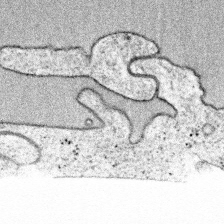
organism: Human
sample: HeLa cells